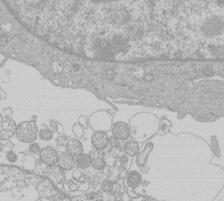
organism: Human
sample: Macrophage cells